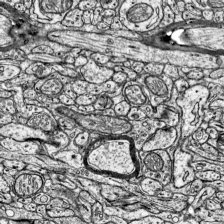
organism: Mouse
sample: Visual Cortex